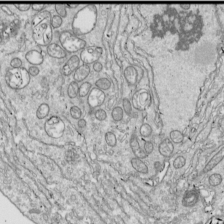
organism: Drosophila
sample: Cell division; meiosis; drosophila spermatocytes